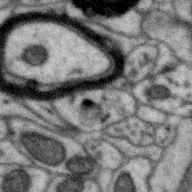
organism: Zebra finch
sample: Brain